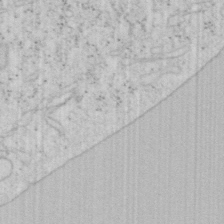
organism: Human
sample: HeLa cells